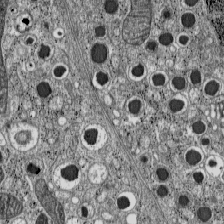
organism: C57BL Mouse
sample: Pancreatic islet